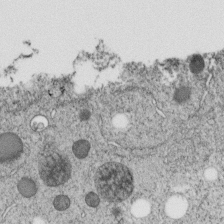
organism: C. elegans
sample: C. elegans embryo early stage